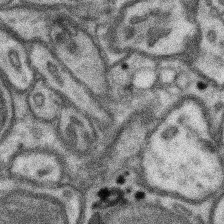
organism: Mouse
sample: Somatosensory cortex neuropil